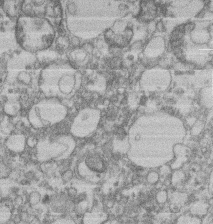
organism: Mouse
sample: T cell stromal cell synapse